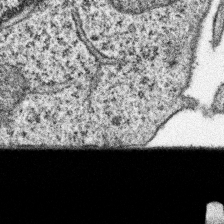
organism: Human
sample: HeLa cells